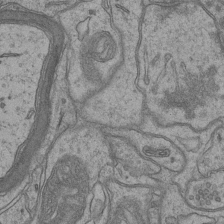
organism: Mouse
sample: CA1 Hippocampus